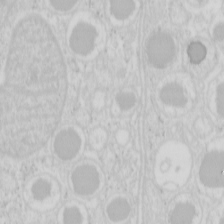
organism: Mouse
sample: Pancreas